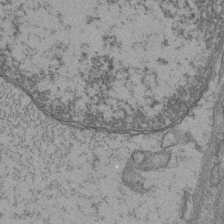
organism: Mouse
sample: CA1 Hippocampus